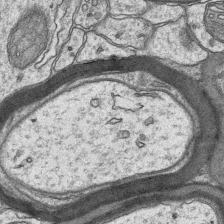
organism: Mouse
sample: CA1 Hippocampus